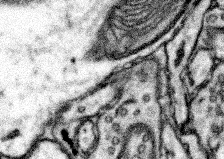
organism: Mouse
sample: Somatosensory cortex neuropil